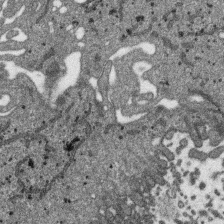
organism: Human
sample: Lung epithelial cells infected with SARS-CoV-2